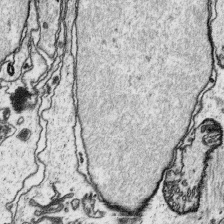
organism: Platynereis dumerilii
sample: Parapodia